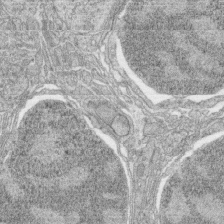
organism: Zebrafish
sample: synaptic ribbons in rod cells and cone cells